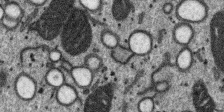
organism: Human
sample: Lung epithelial cells infected with SARS-CoV-2